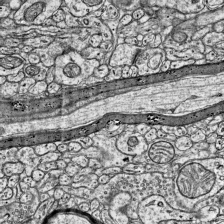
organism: Mouse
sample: Visual Cortex